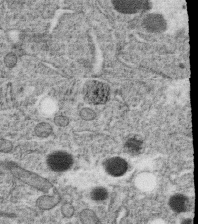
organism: C. elegans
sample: C. elegans oocyte; sperm cells